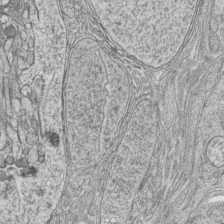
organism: Zebrafish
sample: synaptic ribbons in rod cells and cone cells